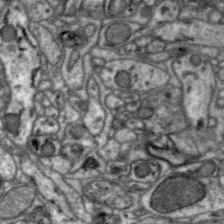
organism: Zebra finch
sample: Brain